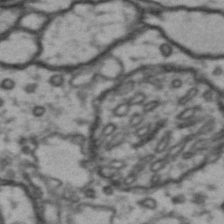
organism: Drosophila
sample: Brain